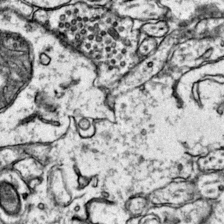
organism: Mouse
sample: Primary visual cortex